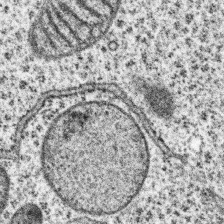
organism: Human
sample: HeLa cells